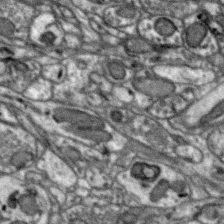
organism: Zebra finch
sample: Brain